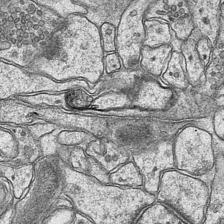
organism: Mouse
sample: CA1 Hippocampus